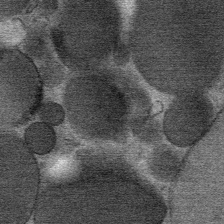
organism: Mouse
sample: Mouse Salivary gland